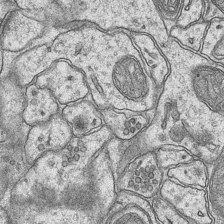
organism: Mouse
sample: CA1 Hippocampus